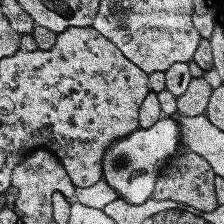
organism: Human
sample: Temporal Lobe